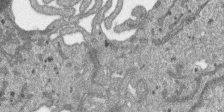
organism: Human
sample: Lung epithelial cells infected with SARS-CoV-2